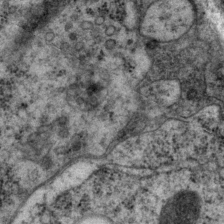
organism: P. pacificus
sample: Pharynx